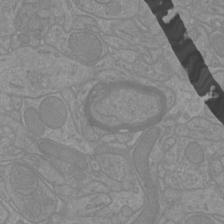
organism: Mouse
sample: Cortical neurons